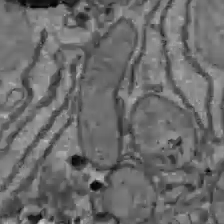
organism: C57BL Mouse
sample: Liver